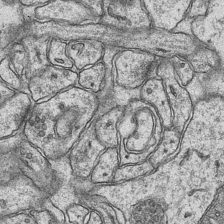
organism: Mouse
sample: CA1 Hippocampus